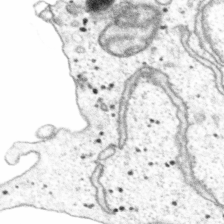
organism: Human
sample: HeLa cells